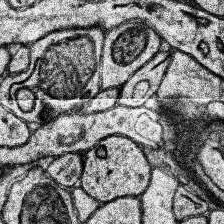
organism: Human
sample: Temporal Lobe